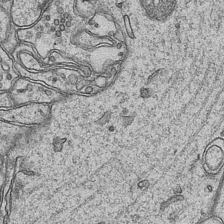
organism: Mouse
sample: CA1 Hippocampus